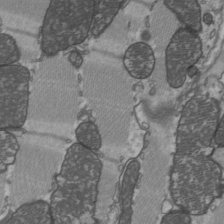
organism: C57BL Mouse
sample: Heart